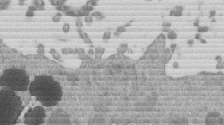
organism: Mouse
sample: Dividing mouse embryo 1 cell stage